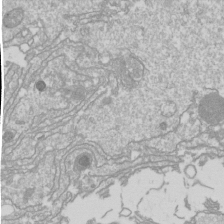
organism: Drosophila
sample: Cell division; meiosis; drosophila spermatocytes